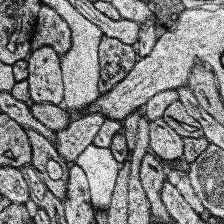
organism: Human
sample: Temporal Lobe